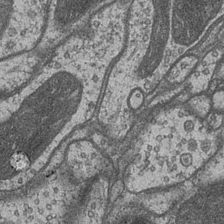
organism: Drosophila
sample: Optic medulla